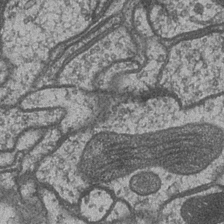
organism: Drosophila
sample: Optic medulla